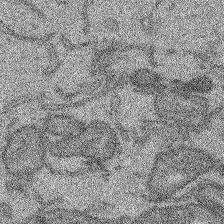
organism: Human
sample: HeLa cells